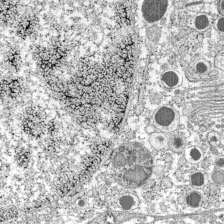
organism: C57BL Mouse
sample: Pancreatic islet